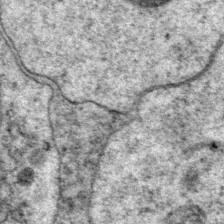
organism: P. pacificus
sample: Pharynx